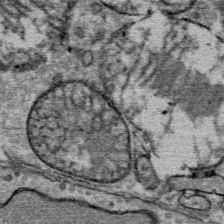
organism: Mouse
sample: Mouse Salivary gland